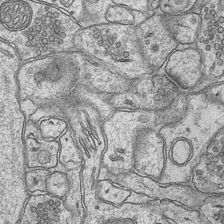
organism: Mouse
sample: CA1 Hippocampus